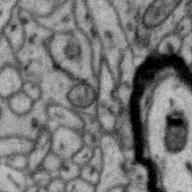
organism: Zebra finch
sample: Brain